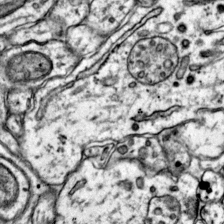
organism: Mouse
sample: Primary visual cortex